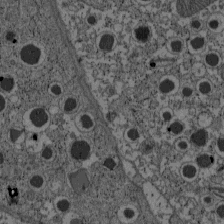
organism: C57BL Mouse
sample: Pancreatic islet